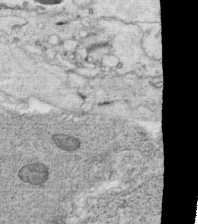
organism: C. elegans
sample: C. elegans oocyte; sperm cells